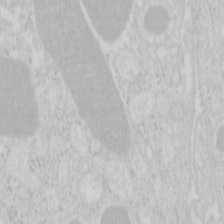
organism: Mouse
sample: Pancreas